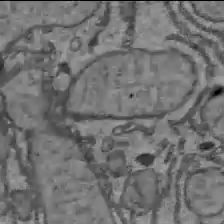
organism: C57BL Mouse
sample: Liver